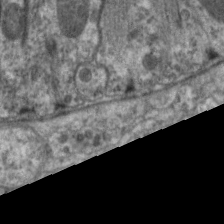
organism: C. elegans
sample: Pharynx